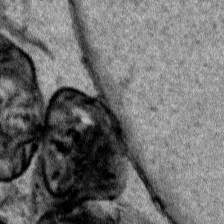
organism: Human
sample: Mitochondria in HCT116 cells